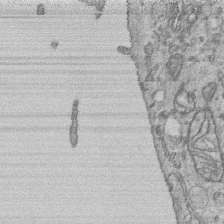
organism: Human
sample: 1205lu cells